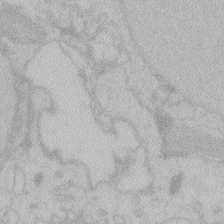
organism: Zebrafish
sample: Macrophage infected with Toxoplasma gondii